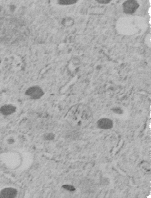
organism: C. elegans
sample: C. elegans embryo early stage